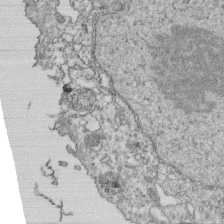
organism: Human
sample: HeLa cell HIV synapse